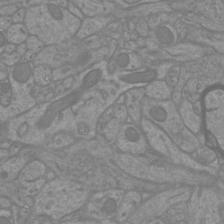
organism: Mouse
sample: Cortical neurons